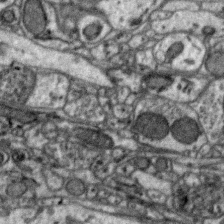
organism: Zebra finch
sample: Brain